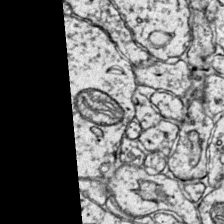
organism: Mouse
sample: Primary visual cortex